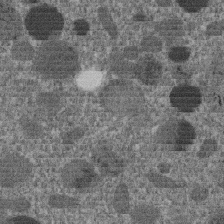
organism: C. elegans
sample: C. elegans embryo early stage